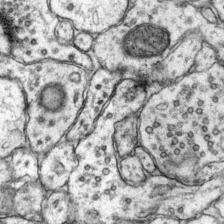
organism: Mouse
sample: Primary visual cortex